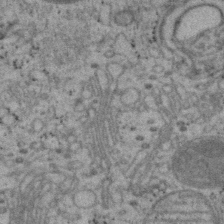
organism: Human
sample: HeLa cells